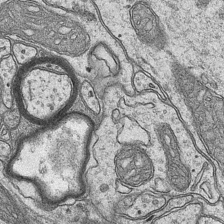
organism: Mouse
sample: CA1 Hippocampus